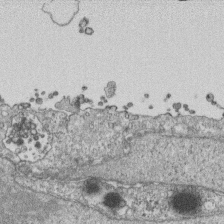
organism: Human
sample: HeLa cell HIV synapse